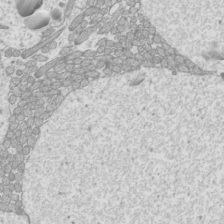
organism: Mouse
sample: Cilia; mouse epididymis